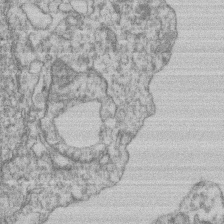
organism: Mouse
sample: T cell stromal cell synapse